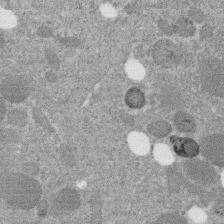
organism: C. elegans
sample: C. elegans embryo early stage